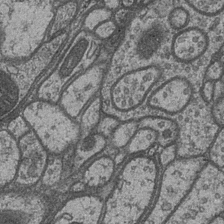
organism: Drosophila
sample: Optic medulla